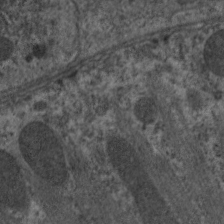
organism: C. elegans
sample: Pharynx